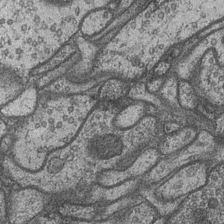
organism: Drosophila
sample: Optic medulla